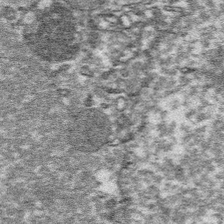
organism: Platynereis dumerilii